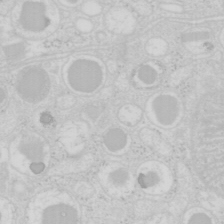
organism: Mouse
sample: Pancreas